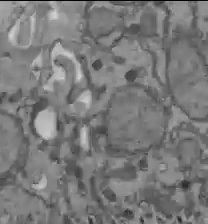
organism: C57BL Mouse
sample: Liver